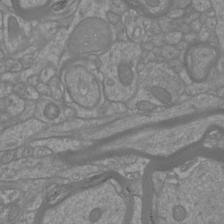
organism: Mouse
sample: Cortical neurons